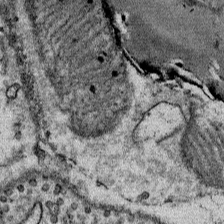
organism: Mouse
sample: Mouse Salivary gland